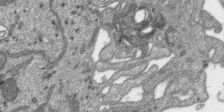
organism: Human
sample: Lung epithelial cells infected with SARS-CoV-2